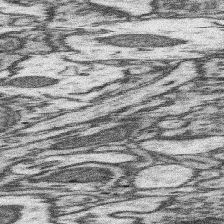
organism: Mouse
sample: Somatosensory cortex neuropil